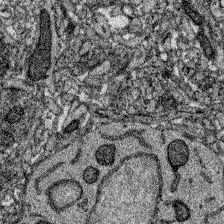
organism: Zebrafish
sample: Larval olfactory bulb